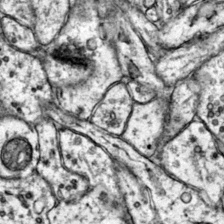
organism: Mouse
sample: Primary visual cortex